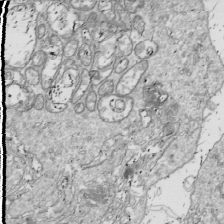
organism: Drosophila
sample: Cell division; meiosis; drosophila spermatocytes